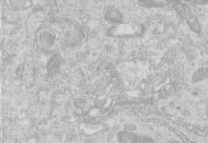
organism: Human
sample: Centriole in RPE cells